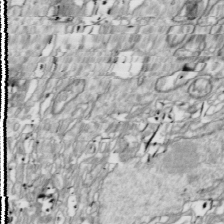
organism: Drosophila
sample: Cell division; meiosis; drosophila spermatocytes